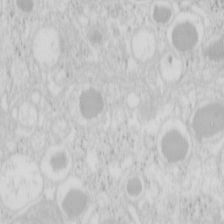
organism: Mouse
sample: Pancreas